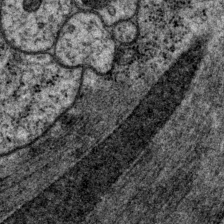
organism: P. pacificus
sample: Pharynx